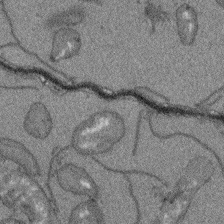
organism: Arabidopsis thaliana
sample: Root tip